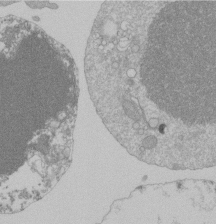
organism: Mouse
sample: Activated Pmel transgenic CD8+ T Cells